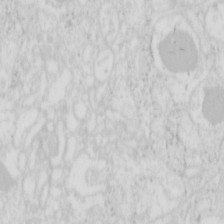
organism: Mouse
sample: Pancreas